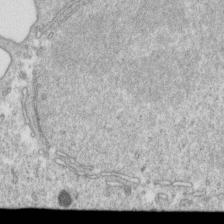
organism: Mouse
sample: Activated OT-1 CD8+ T cells